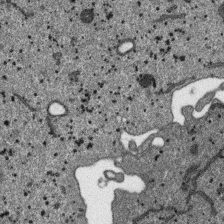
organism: Human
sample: Lung epithelial cells infected with SARS-CoV-2